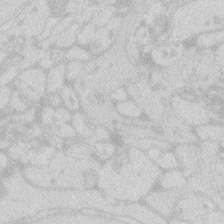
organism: Zebrafish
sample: Macrophage